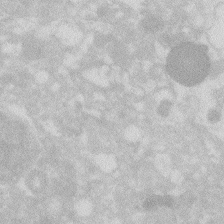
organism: Zebrafish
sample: Macrophage